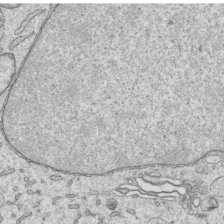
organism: Human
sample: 1205lu cells